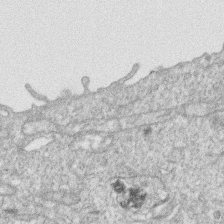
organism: Human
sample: HeLa cell HIV synapse